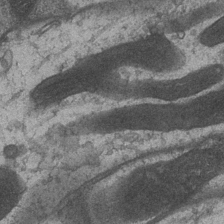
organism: Drosophila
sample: Optic medulla